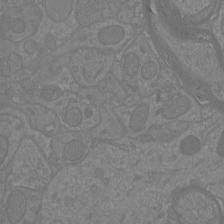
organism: Mouse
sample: Cortical neurons